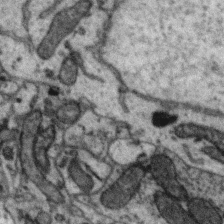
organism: Zebra finch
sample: Brain